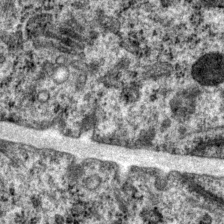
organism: P. pacificus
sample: Pharynx